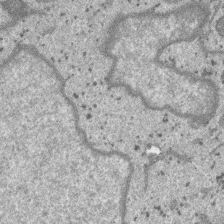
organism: Human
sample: Lung epithelial cells infected with SARS-CoV-2